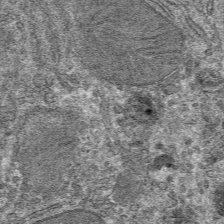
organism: Mouse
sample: Mouse hepatocytes